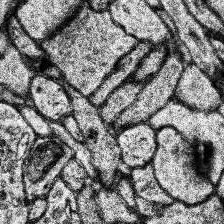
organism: Human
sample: Temporal Lobe